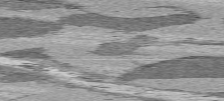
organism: C57BL Mouse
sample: Heart